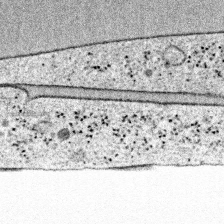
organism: Human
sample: HeLa cells